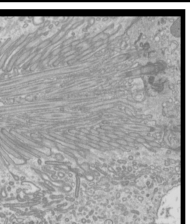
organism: Mouse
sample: Cilia; mouse epididymis